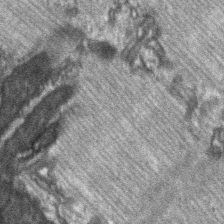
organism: C57BL Mouse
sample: Soleus